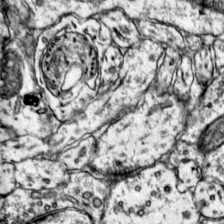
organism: Mouse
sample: Primary visual cortex